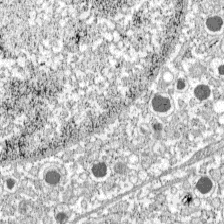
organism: C57BL Mouse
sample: Pancreatic islet